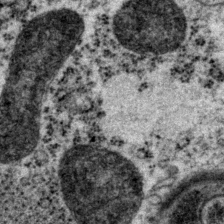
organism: P. pacificus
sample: Pharynx